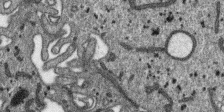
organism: Human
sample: Lung epithelial cells infected with SARS-CoV-2